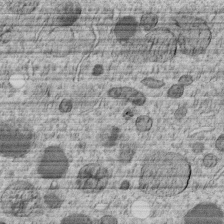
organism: C. elegans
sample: C. elegans embryo early stage